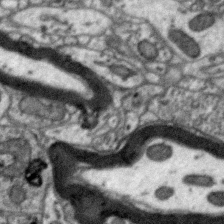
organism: Zebra finch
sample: Brain